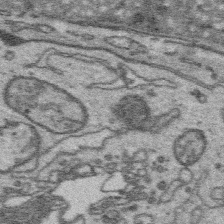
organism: Platynereis dumerilii